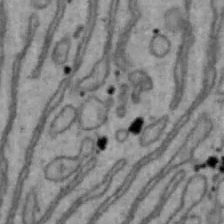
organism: Mouse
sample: Liver